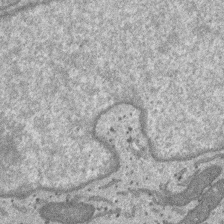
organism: Human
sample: Lung epithelial cells infected with SARS-CoV-2